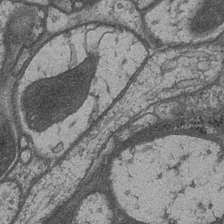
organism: Drosophila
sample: Optic medulla